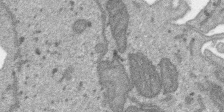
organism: Human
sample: Lung epithelial cells infected with SARS-CoV-2